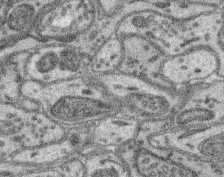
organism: Mouse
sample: Retina